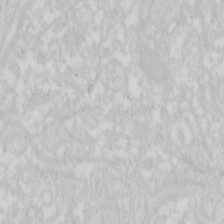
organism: Mouse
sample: Pancreas